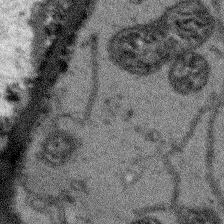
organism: Arabidopsis thaliana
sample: Root tip